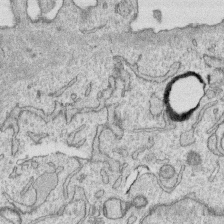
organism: Human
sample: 1205lu cells